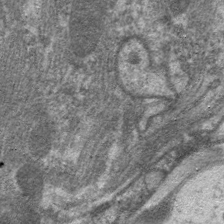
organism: C. elegans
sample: Pharynx